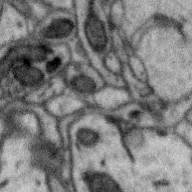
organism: Zebra finch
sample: Brain